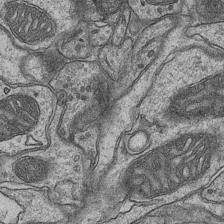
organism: Mouse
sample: CA1 Hippocampus